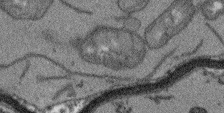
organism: Arabidopsis thaliana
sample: Root tip